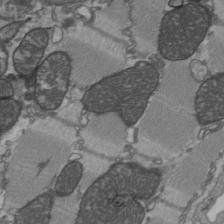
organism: C57BL Mouse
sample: Heart